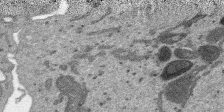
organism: Human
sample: Lung epithelial cells infected with SARS-CoV-2